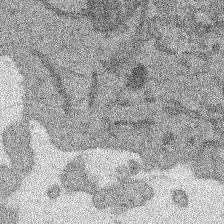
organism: Human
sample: HeLa cells